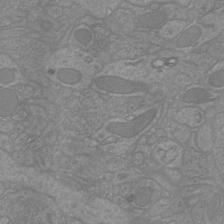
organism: Mouse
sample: Cortical neurons